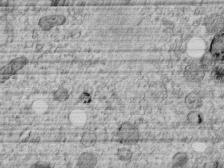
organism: C. elegans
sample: C. elegans embryo early stage